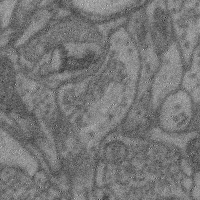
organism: Mouse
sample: Cerebral cortex